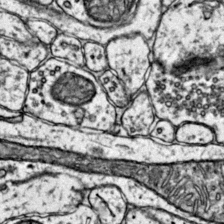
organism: Mouse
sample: Primary visual cortex